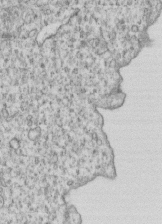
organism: Human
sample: MDA-MB-231 cells